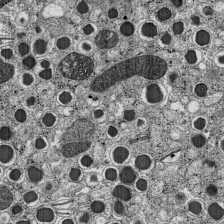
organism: C57BL Mouse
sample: Pancreatic islet